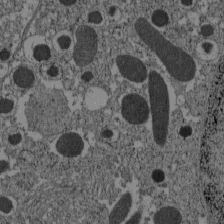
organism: C57BL Mouse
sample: Pancreatic islet